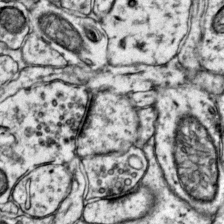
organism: Mouse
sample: Primary visual cortex